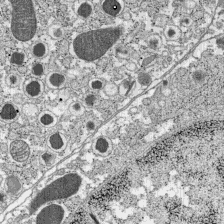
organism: C57BL Mouse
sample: Pancreatic islet